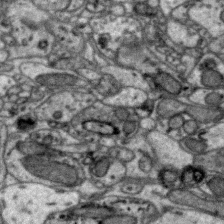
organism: Zebra finch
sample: Brain